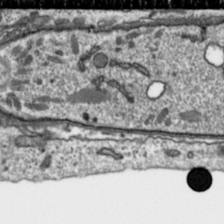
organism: Toxoplasma gondii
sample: Parasites in a vacuole inside a host cell